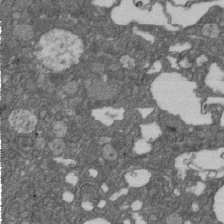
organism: Drosophila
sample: Nephrocyte